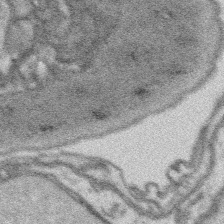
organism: Platynereis dumerilii